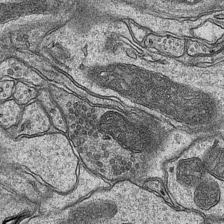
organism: Mouse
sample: CA1 Hippocampus